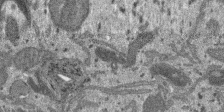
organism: Human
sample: Lung epithelial cells infected with SARS-CoV-2